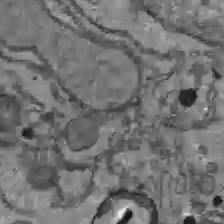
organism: C57BL Mouse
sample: Liver